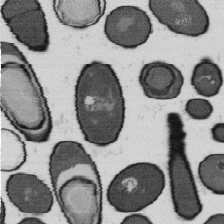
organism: B. subtilis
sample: Bacterial spore